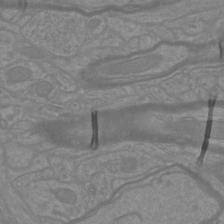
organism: Mouse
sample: Cortical neurons